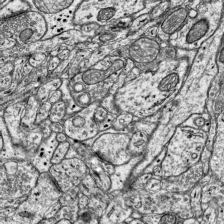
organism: Mouse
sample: Visual Cortex